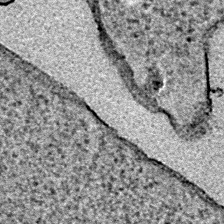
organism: E. coli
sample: E. Coli Bacteria